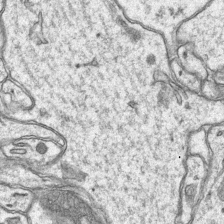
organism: Mouse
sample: CA1 Hippocampus